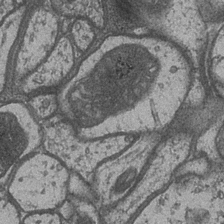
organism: Drosophila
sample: Optic medulla